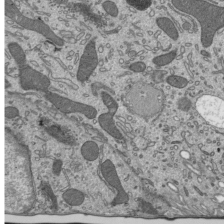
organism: Mouse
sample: Mouse epididymis efferent ductule cilia